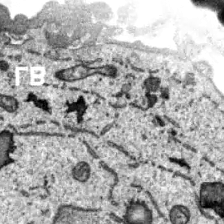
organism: Human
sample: HeLa cells